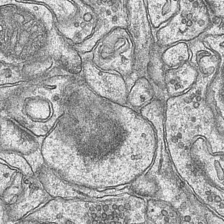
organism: Mouse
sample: CA1 Hippocampus